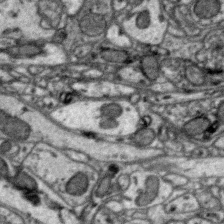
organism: Zebra finch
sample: Brain